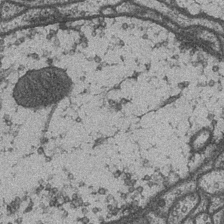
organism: Drosophila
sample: Optic medulla